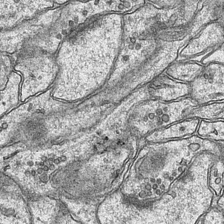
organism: Mouse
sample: CA1 Hippocampus